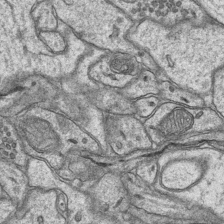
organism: Mouse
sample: CA1 Hippocampus